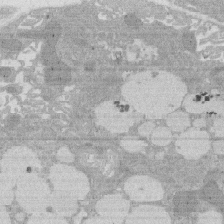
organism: Rat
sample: Salivary granule